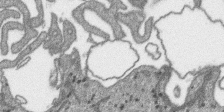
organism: Human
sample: Lung epithelial cells infected with SARS-CoV-2